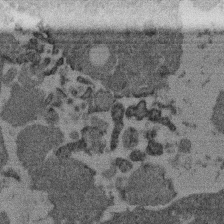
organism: Mouse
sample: Dividing mouse embryo 1 cell stage